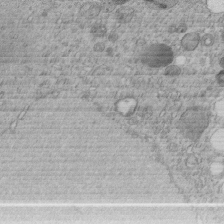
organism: C. elegans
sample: C. elegans embryo early stage